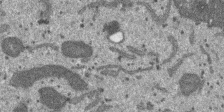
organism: Human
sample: Lung epithelial cells infected with SARS-CoV-2